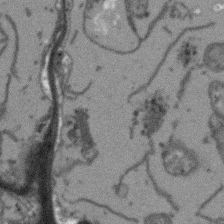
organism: Arabidopsis thaliana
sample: Root tip